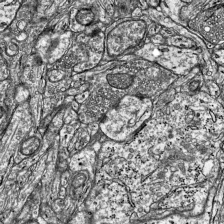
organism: Mouse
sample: Visual Cortex